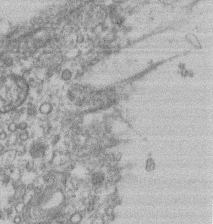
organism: Mouse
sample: T cell stromal cell synapse